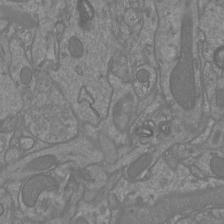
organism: Mouse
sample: Cortical neurons